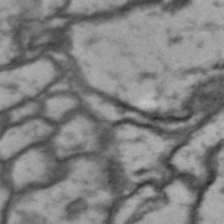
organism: Drosophila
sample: Brain